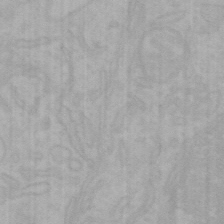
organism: Mouse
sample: Choroid plexus